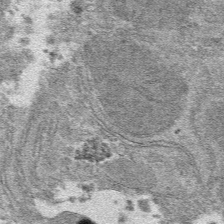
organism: Mouse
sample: Mouse hepatocytes